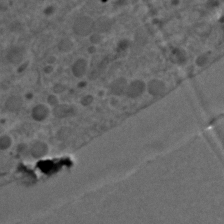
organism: C. elegans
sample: C. elegans embryo